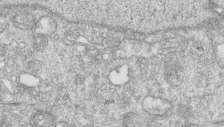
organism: Human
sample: HeLa cell HIV synapse